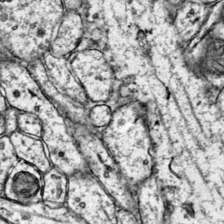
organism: Mouse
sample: Primary visual cortex